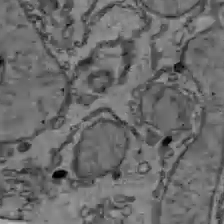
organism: C57BL Mouse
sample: Liver